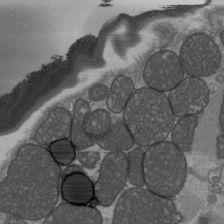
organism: C57BL Mouse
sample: Heart